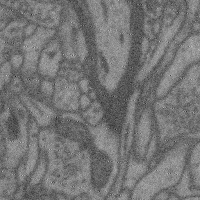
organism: Mouse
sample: Cerebral cortex